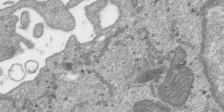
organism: Human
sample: Lung epithelial cells infected with SARS-CoV-2